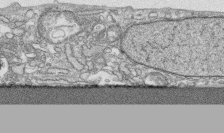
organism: Human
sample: CRL-1474